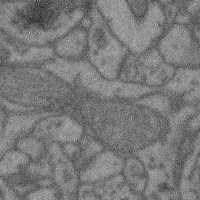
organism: Mouse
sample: Cerebral cortex